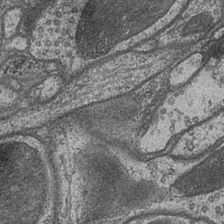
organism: Drosophila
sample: Optic medulla